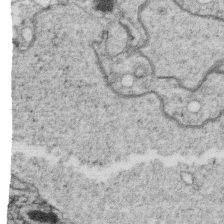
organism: C. elegans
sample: C. elegans oocyte; sperm cells